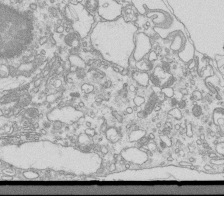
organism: Mouse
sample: Macrophages